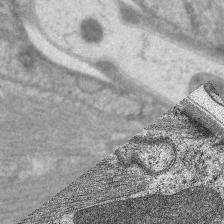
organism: C. elegans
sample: Pharynx